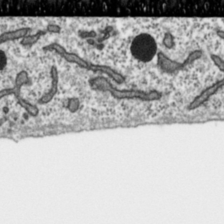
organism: Toxoplasma gondii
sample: Parasites in a vacuole inside a host cell